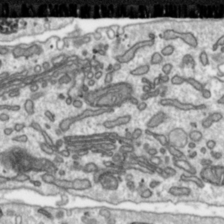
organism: Toxoplasma gondii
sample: Parasites in a vacuole inside a host cell